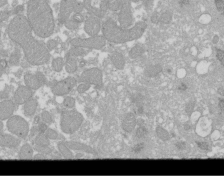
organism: Xenopus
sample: Cilia; centrioles in frog embryo cells